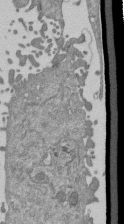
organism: Mouse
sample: ED-1 cell nuclei; centrioles